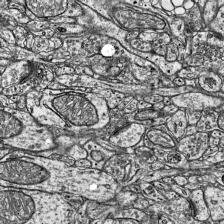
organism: Mouse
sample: Visual Cortex